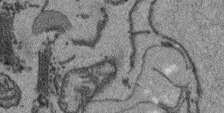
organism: Arabidopsis thaliana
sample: Root tip